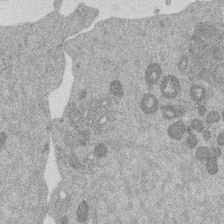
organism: Mouse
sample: Dividing mouse embryo 1 cell stage